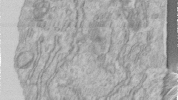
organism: Human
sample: Centriole in RPE cells